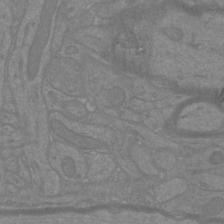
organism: Mouse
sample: Cortical neurons